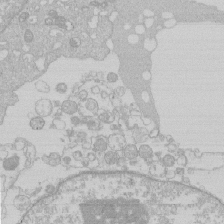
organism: Human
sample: Macrophage cells